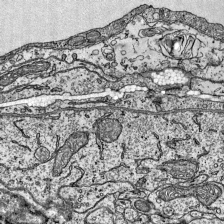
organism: Mouse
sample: Visual Cortex